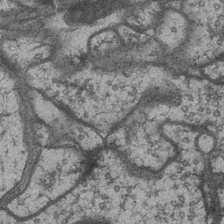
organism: Drosophila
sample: Optic medulla